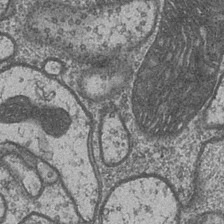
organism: Drosophila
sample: Optic medulla